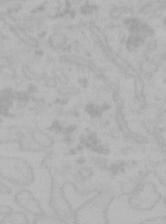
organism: Mouse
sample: Choroid plexus